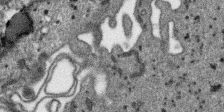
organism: Human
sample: Lung epithelial cells infected with SARS-CoV-2